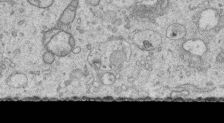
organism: Human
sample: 1205lu cells